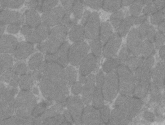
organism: C57BL Mouse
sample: Tibialis anterior muscle cell